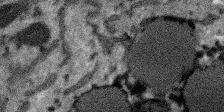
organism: Human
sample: Lung epithelial cells infected with SARS-CoV-2